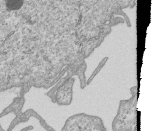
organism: Human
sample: MDA-MB-231 cells